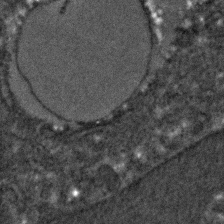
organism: C. elegans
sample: C. elegans embryo